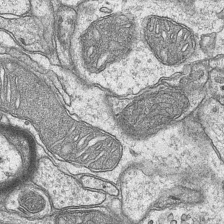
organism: Mouse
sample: CA1 Hippocampus